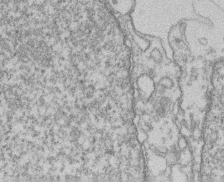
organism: Mouse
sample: T cell stromal cell synapse